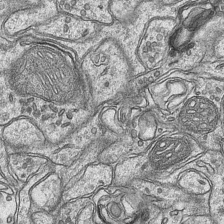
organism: Mouse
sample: CA1 Hippocampus